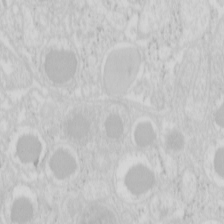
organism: Mouse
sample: Pancreas